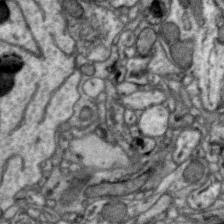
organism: Zebra finch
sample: Brain